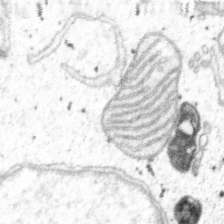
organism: Human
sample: HeLa cells